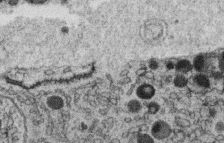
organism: C. elegans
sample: C. elegans oocyte; sperm cells